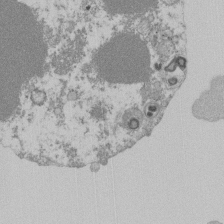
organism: Mouse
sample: Activated Pmel transgenic CD8+ T Cells